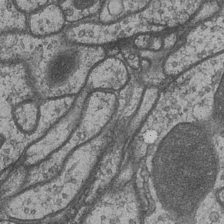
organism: Drosophila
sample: Optic medulla